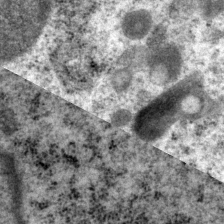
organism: P. pacificus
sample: Pharynx